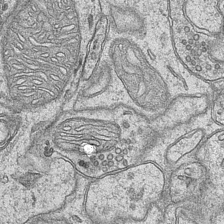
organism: Mouse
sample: CA1 Hippocampus